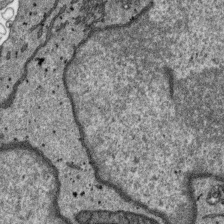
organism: Human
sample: Lung epithelial cells, uninfected (mock) control